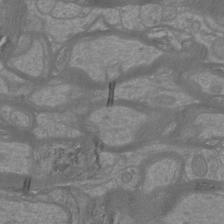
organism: Mouse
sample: Cortical neurons